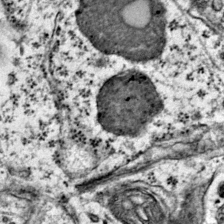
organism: Mouse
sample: Primary visual cortex